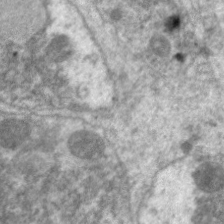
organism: C. elegans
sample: Pharynx